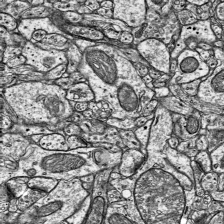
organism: Mouse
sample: Visual Cortex